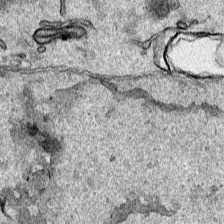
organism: Human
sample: Mitochondria in HCT116 cells